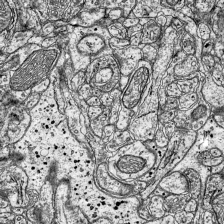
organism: Mouse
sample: Visual Cortex